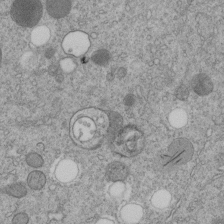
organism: C. elegans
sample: C. elegans embryo early stage